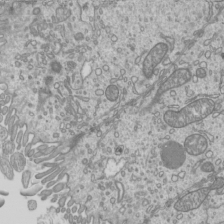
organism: Mouse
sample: Cilia; mouse epididymis